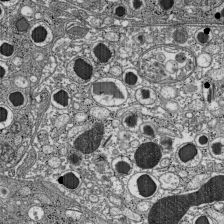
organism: C57BL Mouse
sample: Pancreatic islet